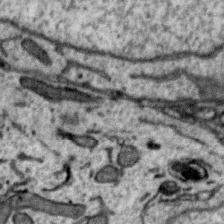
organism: Zebra finch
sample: Brain